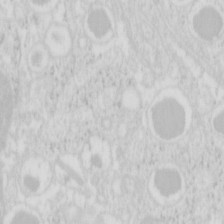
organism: Mouse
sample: Pancreas